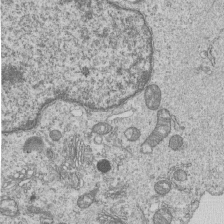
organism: Human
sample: MDA-MB-231 cells